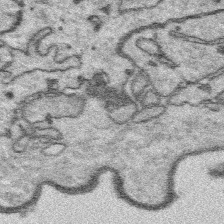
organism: Platynereis dumerilii